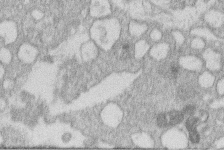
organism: Human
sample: Macrophage cells